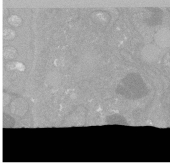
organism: C. elegans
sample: C. elegans oocyte; sperm cells